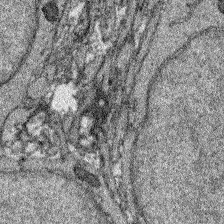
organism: Zebrafish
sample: Larval olfactory bulb